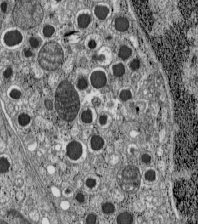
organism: C57BL Mouse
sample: Pancreatic islet